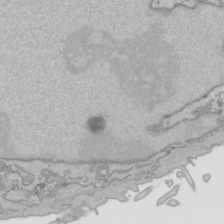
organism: Human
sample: Mitochondria in HCT116 cells